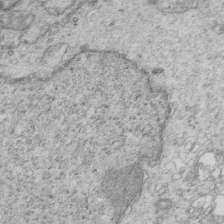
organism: Mouse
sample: Multiciliated cells